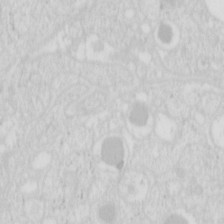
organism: Mouse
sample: Pancreas